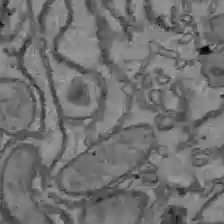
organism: C57BL Mouse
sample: Liver